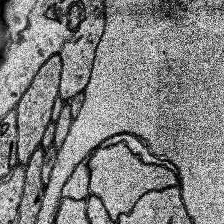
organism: Human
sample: Temporal Lobe